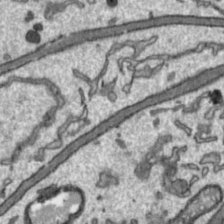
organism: Toxoplasma gondii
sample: Parasites in a vacuole inside a host cell